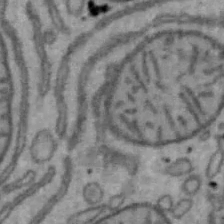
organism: Mouse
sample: Liver